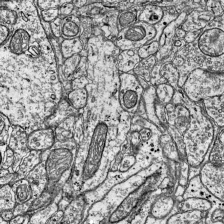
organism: Mouse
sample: Visual Cortex